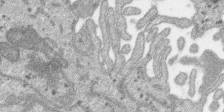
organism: Human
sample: Lung epithelial cells infected with SARS-CoV-2